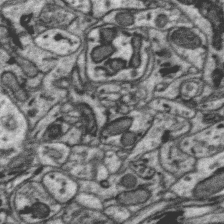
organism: Zebra finch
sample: Brain